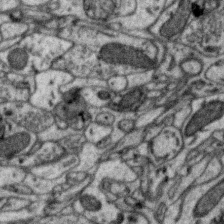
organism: Zebra finch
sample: Brain